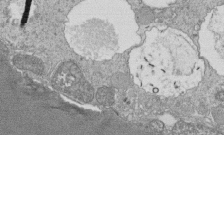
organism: Tetrahymena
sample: Cilia in tetrahymena